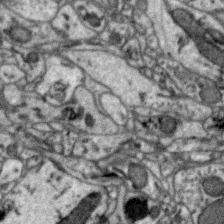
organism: Zebra finch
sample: Brain